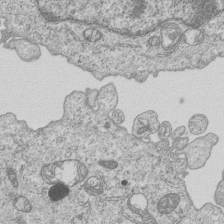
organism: Human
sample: MDA-MB-231 cells